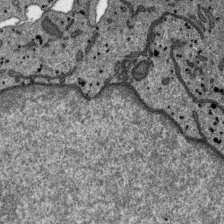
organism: Human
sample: Lung epithelial cells, uninfected (mock) control